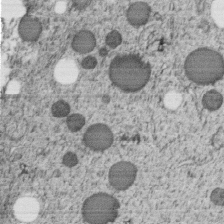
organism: C. elegans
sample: C. elegans embryo early stage